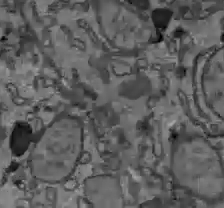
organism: C57BL Mouse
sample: Liver